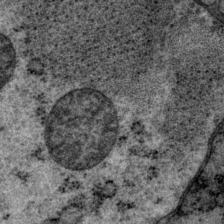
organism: P. pacificus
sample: Pharynx